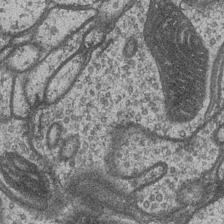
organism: Drosophila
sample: Optic medulla